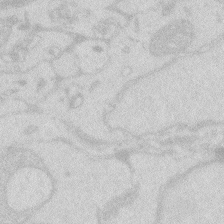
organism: Zebrafish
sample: Macrophage